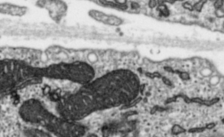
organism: Toxoplasma gondii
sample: Parasites in a vacuole inside a host cell